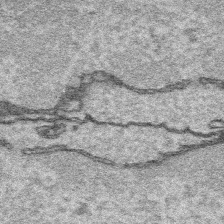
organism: Platynereis dumerilii